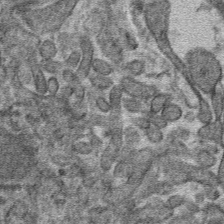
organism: Mouse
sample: Mouse hepatocytes